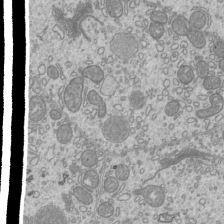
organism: Mouse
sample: Cilia; mouse epididymis